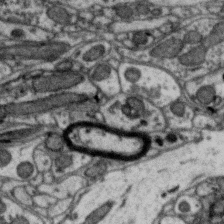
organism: Zebra finch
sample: Brain